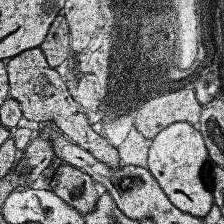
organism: Human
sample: Temporal Lobe